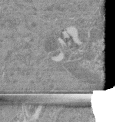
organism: Mouse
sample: Glomerulus